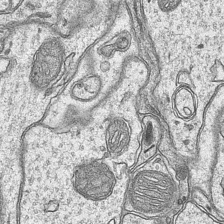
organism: Mouse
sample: CA1 Hippocampus